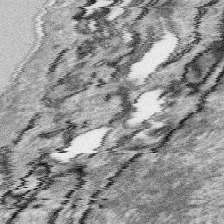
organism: Human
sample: HeLa cells